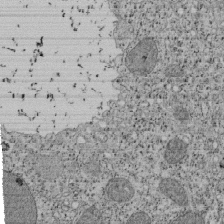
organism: Tetrahymena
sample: Cilia in tetrahymena